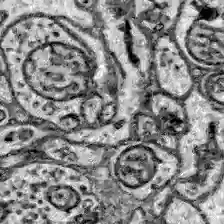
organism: Zebrafish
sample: Brain